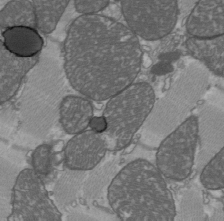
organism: C57BL Mouse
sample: Heart